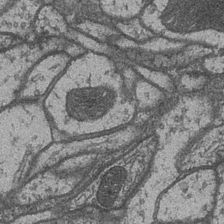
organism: Drosophila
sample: Optic medulla